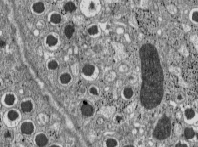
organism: C57BL Mouse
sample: Pancreatic islet